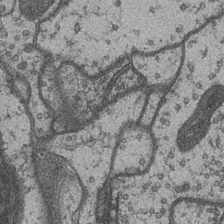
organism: Drosophila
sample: Optic medulla